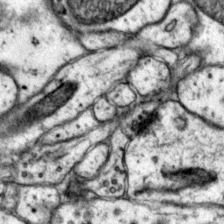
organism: Mouse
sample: Primary visual cortex